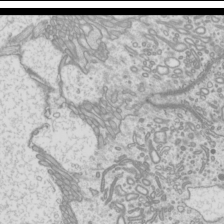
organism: Mouse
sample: Cilia; mouse epididymis